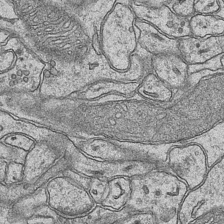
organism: Mouse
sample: CA1 Hippocampus